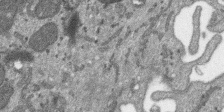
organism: Human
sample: Lung epithelial cells infected with SARS-CoV-2